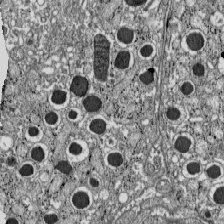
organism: C57BL Mouse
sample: Pancreatic islet